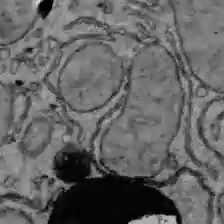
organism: C57BL Mouse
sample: Liver